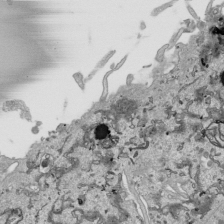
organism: Human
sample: Mitochondria in HCT116 cells